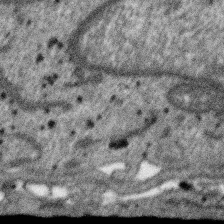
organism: Human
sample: Lung epithelial cells infected with SARS-CoV-2